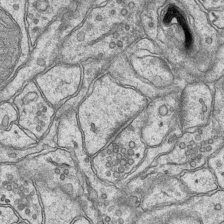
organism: Mouse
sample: CA1 Hippocampus